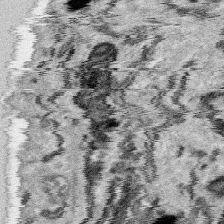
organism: Human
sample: HeLa cells